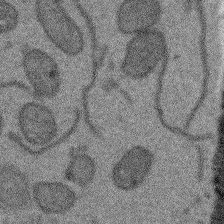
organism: Arabidopsis thaliana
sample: Root tip